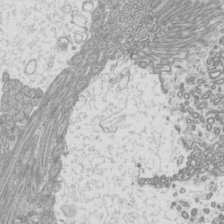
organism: Mouse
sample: Cilia; mouse epididymis